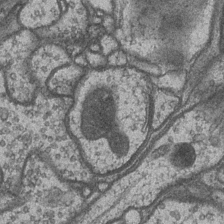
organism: Drosophila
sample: Optic medulla